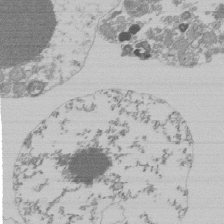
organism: Mouse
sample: Activated Pmel transgenic CD8+ T Cells